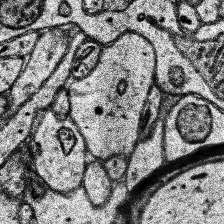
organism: Human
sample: Temporal Lobe